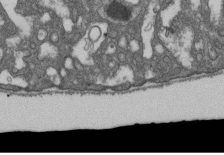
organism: Drosophila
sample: Nephrocyte